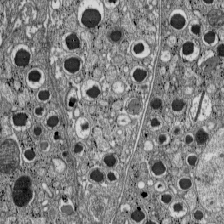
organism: C57BL Mouse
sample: Pancreatic islet